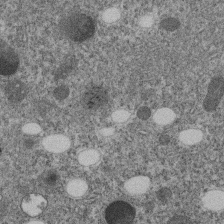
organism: C. elegans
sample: C. elegans embryo early stage